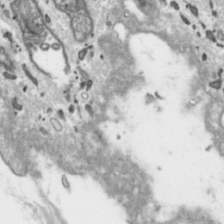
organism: Toxoplasma gondii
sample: Parasites in a vacuole inside a host cell